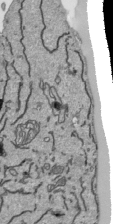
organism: Human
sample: Mitochondria in HCT116 cells